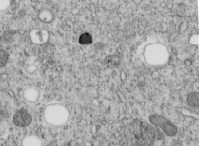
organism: C. elegans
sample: C. elegans embryo early stage